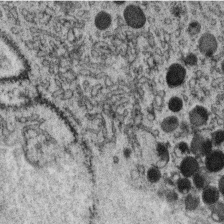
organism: C. elegans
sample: C. elegans oocyte; sperm cells